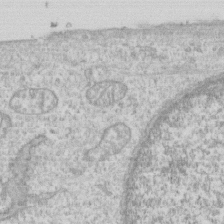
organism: Human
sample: CRL-1474